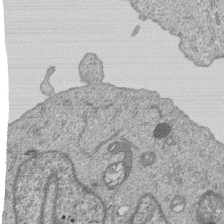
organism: Human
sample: MDA-MB-231 cells